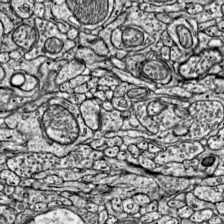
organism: Mouse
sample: Visual Cortex